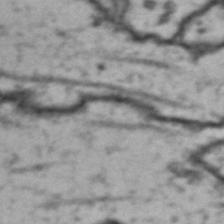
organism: Drosophila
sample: Brain